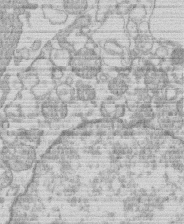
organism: Human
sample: Macrophage cells